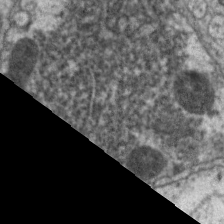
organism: C. elegans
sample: Pharynx